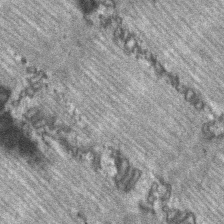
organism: C57BL Mouse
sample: Soleus